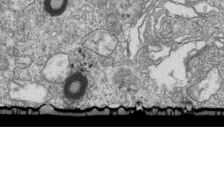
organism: Human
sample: HeLa cell HIV synapse